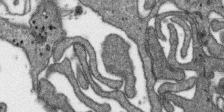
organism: Human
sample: Lung epithelial cells, uninfected (mock) control